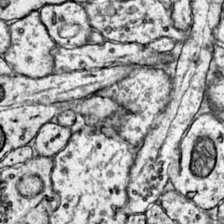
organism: Mouse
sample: Primary visual cortex